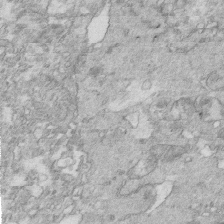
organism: Mouse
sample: Multiciliated cells